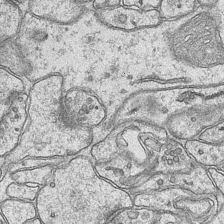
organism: Mouse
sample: CA1 Hippocampus